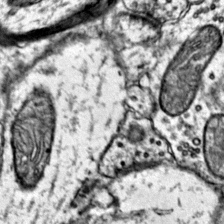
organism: Mouse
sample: Primary visual cortex